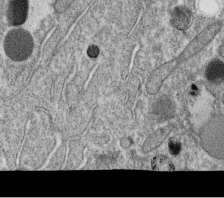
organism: C. elegans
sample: C. elegans oocyte; sperm cells